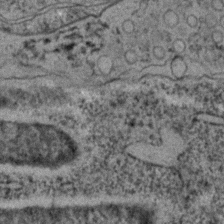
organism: C. elegans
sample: C. elegans embryo